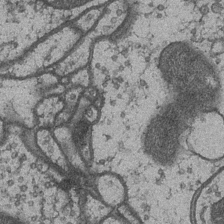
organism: Drosophila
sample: Optic medulla